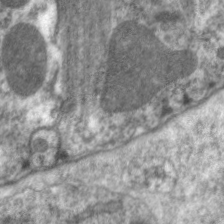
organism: C. elegans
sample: Pharynx